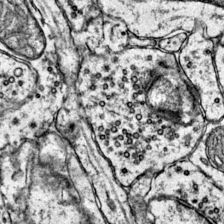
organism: Mouse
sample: Primary visual cortex